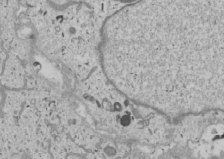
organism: Human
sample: Mitochondria in U2OS cells